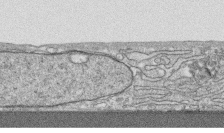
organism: Human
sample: CRL-1474